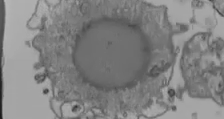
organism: Human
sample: Jurkat E6-1 and CD4 cells